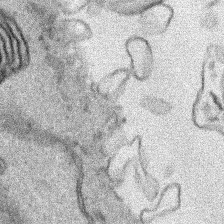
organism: Human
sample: Mitochondria in HCT116 cells